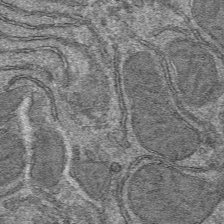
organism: Mouse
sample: Mouse hepatocytes